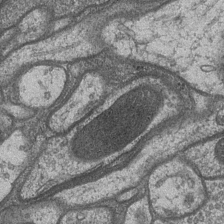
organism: Drosophila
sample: Optic medulla